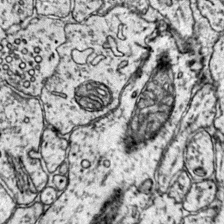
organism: Mouse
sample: Primary visual cortex